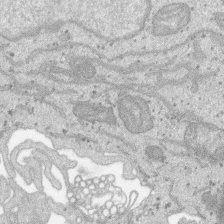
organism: Human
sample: Lung epithelial cells infected with SARS-CoV-2